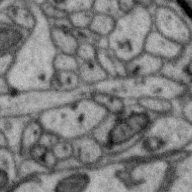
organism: Zebra finch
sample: Brain